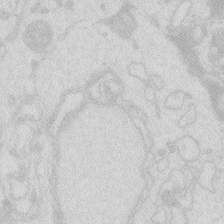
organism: Zebrafish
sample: Macrophage